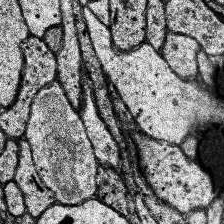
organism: Human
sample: Temporal Lobe